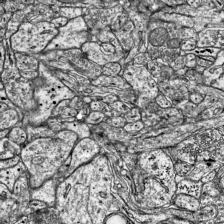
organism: Mouse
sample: Visual Cortex